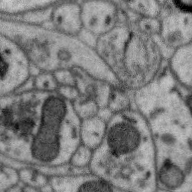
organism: Zebra finch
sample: Brain